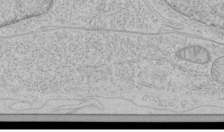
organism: Human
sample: Mitochondria in HCT116 cells